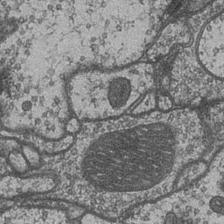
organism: Drosophila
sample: Optic medulla